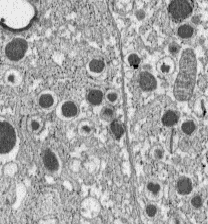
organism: C57BL Mouse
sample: Pancreatic islet